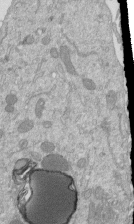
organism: Mouse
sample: ED-1 cell nuclei; centrioles